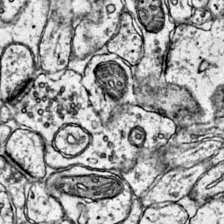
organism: Mouse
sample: Primary visual cortex